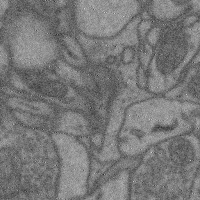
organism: Mouse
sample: Cerebral cortex